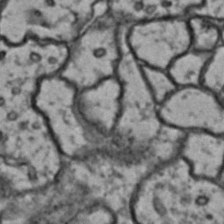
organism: Drosophila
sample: Brain